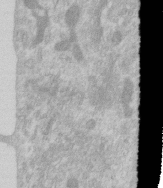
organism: Human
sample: Centriole in RPE cells